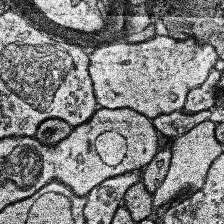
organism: Human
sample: Temporal Lobe